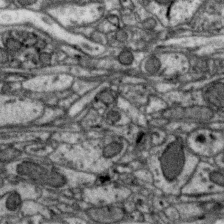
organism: Zebra finch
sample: Brain